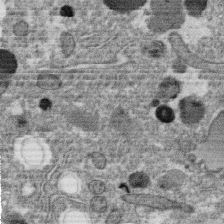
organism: C. elegans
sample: C. elegans oocyte; sperm cells